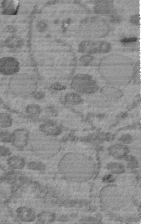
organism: C. elegans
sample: C. elegans embryo early stage